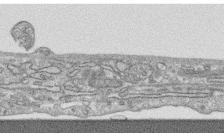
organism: Human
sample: CRL-1474